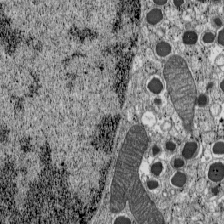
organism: C57BL Mouse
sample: Pancreatic islet